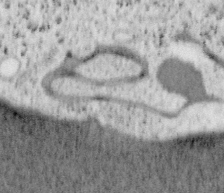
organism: Mouse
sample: OT-I killer T cells with ID8 ovarian cancer cells